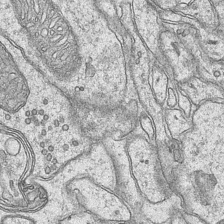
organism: Mouse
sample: CA1 Hippocampus